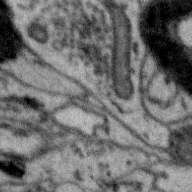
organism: Zebra finch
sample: Brain